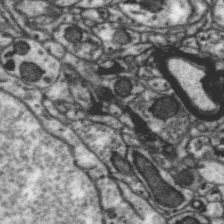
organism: Zebra finch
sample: Brain